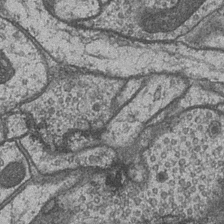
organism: Drosophila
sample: Optic medulla